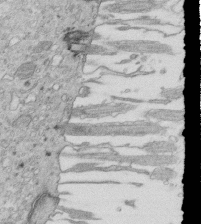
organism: Mouse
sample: Multiciliated cells